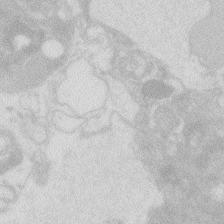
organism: Zebrafish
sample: Macrophage